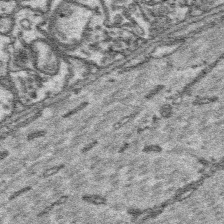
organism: Platynereis dumerilii